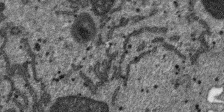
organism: Human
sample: Lung epithelial cells infected with SARS-CoV-2